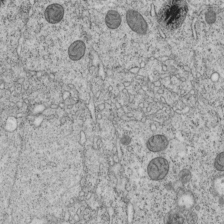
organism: C. elegans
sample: C. elegans embryo early stage